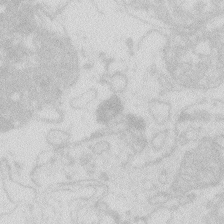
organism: Zebrafish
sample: Macrophage